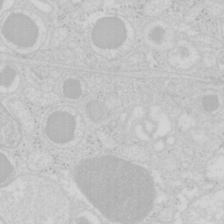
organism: Mouse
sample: Pancreas